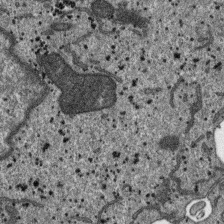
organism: Human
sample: Lung epithelial cells infected with SARS-CoV-2